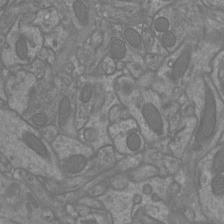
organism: Mouse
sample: Cortical neurons